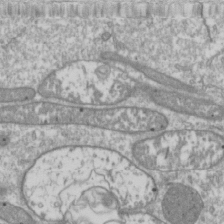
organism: Drosophila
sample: Cell division; meiosis; drosophila spermatocytes